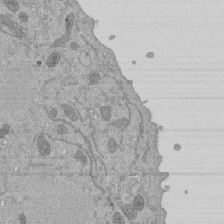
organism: Mouse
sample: ED-1 cell nuclei; centrioles